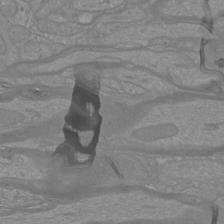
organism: Mouse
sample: Cortical neurons